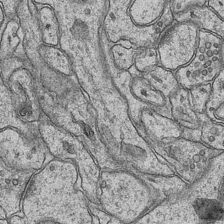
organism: Mouse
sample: CA1 Hippocampus